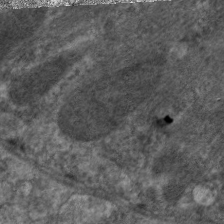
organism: C. elegans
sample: Pharynx